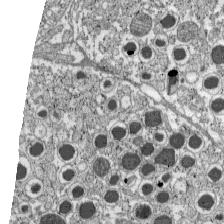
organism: C57BL Mouse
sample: Pancreatic islet